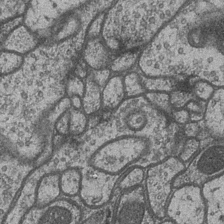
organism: Drosophila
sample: Optic medulla